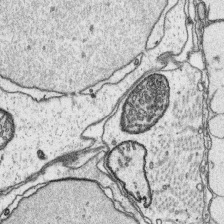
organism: Platynereis dumerilii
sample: Parapodia